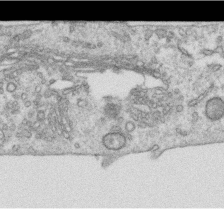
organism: Human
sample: Centriole in RPE cells